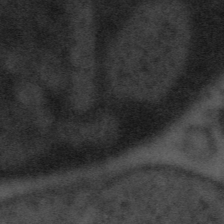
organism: Tuwongella immobilis